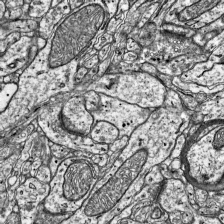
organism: Mouse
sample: Visual Cortex